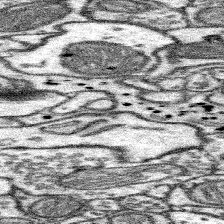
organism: Mouse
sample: Somatosensory cortex neuropil